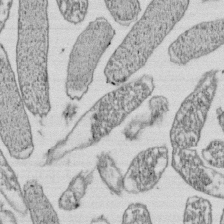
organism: E. coli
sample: Bacterial nucleoid